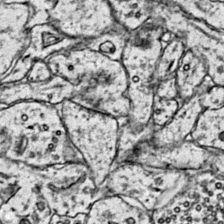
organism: Mouse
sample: Primary visual cortex